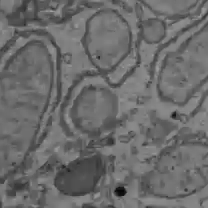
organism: C57BL Mouse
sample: Liver